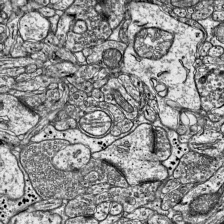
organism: Mouse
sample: Visual Cortex